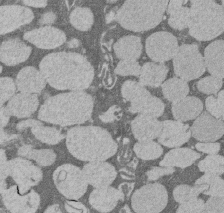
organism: Rat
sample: Salivary granule